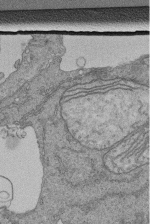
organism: Human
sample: Retinal organoid Rod and Cone cells